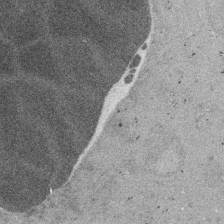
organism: Embia sp.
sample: Silk gland